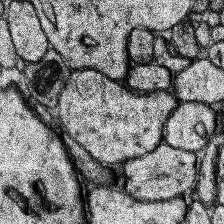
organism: Human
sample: Temporal Lobe